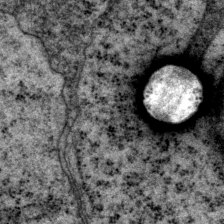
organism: P. pacificus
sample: Pharynx